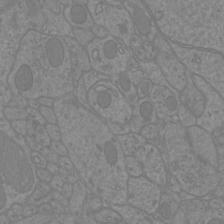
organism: Mouse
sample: Cortical neurons